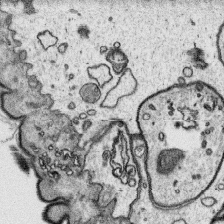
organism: Platynereis dumerilii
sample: Parapodia